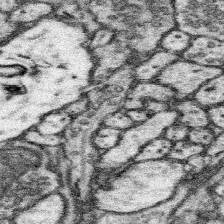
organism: Mouse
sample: Somatosensory cortex neuropil